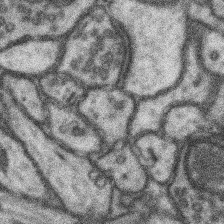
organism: Mouse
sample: Somatosensory cortex neuropil